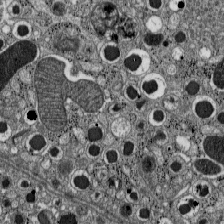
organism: C57BL Mouse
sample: Pancreatic islet